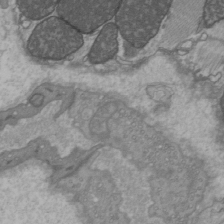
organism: C57BL Mouse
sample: Heart